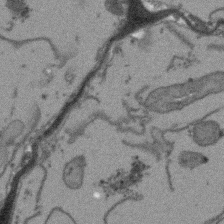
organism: Arabidopsis thaliana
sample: Root tip